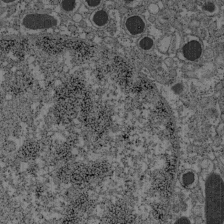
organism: C57BL Mouse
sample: Pancreatic islet